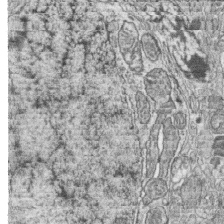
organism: Zebrafish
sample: synaptic ribbons in rod cells and cone cells